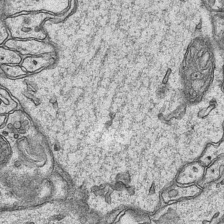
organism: Mouse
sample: CA1 Hippocampus